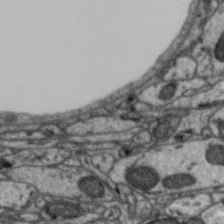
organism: Zebra finch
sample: Brain